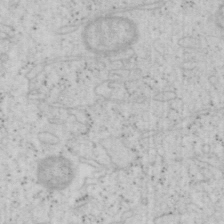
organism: Human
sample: HeLa cells